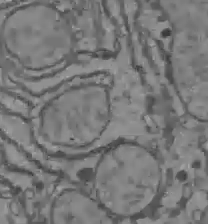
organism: C57BL Mouse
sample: Liver